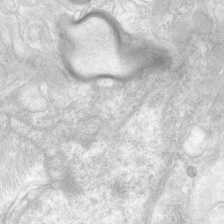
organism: Human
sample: Neocortex